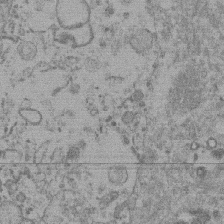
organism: Mouse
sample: Dividing mouse embryo 1 cell stage